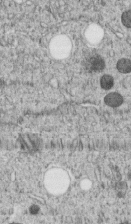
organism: C. elegans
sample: C. elegans embryo early stage